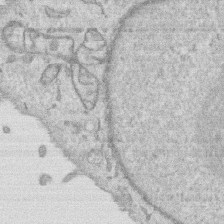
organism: Human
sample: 1205lu cells